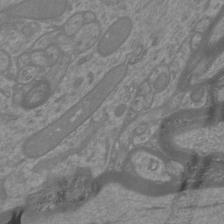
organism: Mouse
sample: Cortical neurons